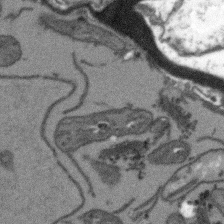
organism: Arabidopsis thaliana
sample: Root tip